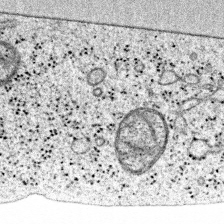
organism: Human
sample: HeLa cells